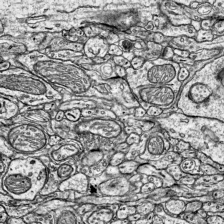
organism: Mouse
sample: Visual Cortex